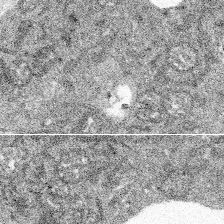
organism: Spongilla lacustris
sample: Multiple